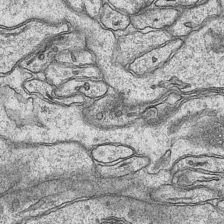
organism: Mouse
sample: CA1 Hippocampus